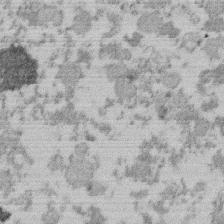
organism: Mouse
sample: Dividing mouse embryo 1 cell stage